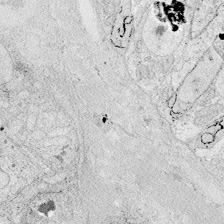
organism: Zebrafish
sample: Whole-Brain